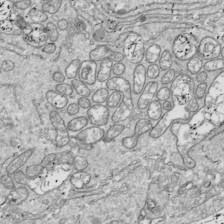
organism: Drosophila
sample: Cell division; meiosis; drosophila spermatocytes